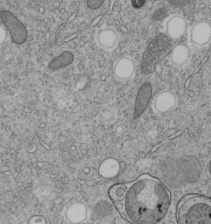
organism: C. elegans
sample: C. elegans embryo early stage